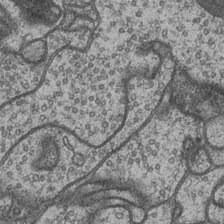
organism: Drosophila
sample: Optic medulla